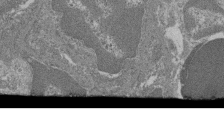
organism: Mouse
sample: Glomerulus